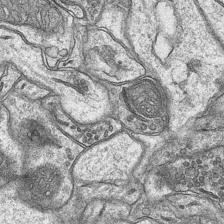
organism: Mouse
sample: CA1 Hippocampus